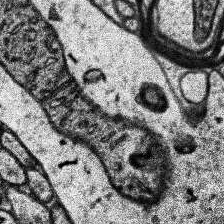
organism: Human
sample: Temporal Lobe